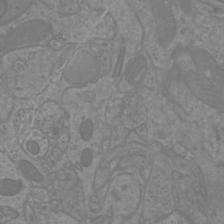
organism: Mouse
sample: Cortical neurons